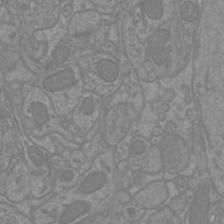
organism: Mouse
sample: Cortical neurons